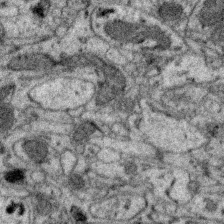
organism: Zebra finch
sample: Brain